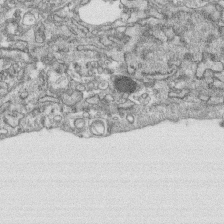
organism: Human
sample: CRL-1474